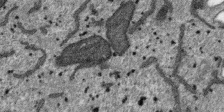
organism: Human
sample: Lung epithelial cells, uninfected (mock) control